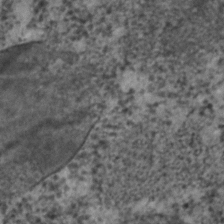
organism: C. elegans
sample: C. elegans embryo